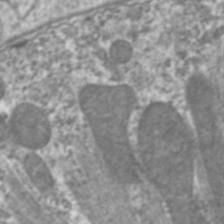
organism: C. elegans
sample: Pharynx